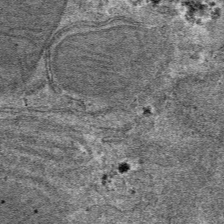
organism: Mouse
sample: Mouse hepatocytes